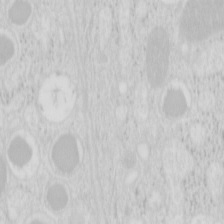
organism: Mouse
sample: Pancreas